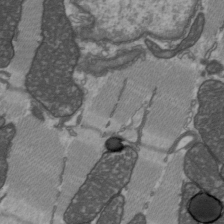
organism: C57BL Mouse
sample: Heart